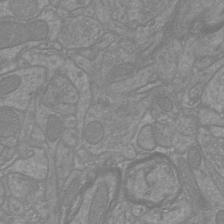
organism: Mouse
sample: Cortical neurons